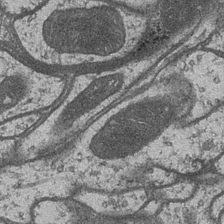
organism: Drosophila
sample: Optic medulla